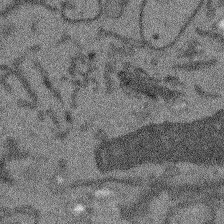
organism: Arabidopsis thaliana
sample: Root tip